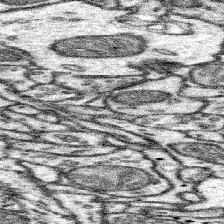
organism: Mouse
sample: Somatosensory cortex neuropil